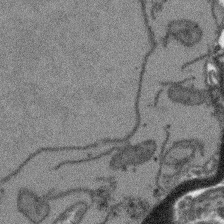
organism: Arabidopsis thaliana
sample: Root tip